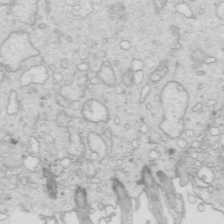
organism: Mouse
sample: Multiciliated cells